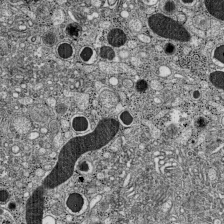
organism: C57BL Mouse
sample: Pancreatic islet